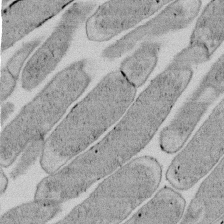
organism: E. coli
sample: Bacterial nucleoid